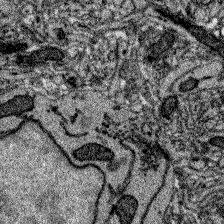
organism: Zebrafish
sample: Larval olfactory bulb